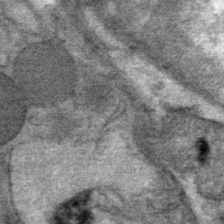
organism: Mouse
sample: Mouse Salivary gland